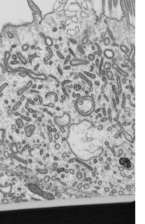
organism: Mouse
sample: Mouse epididymis efferent ductule cilia